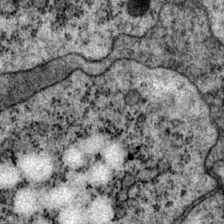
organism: P. pacificus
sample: Pharynx